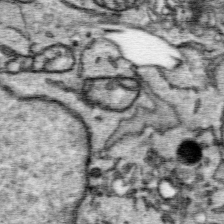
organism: Human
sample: HeLa cells